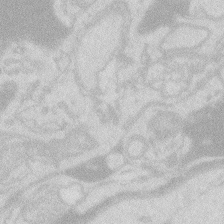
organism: Zebrafish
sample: Macrophage